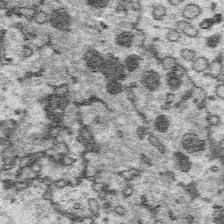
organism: Platynereis dumerilii